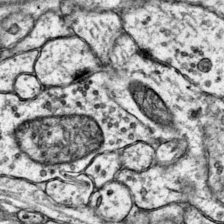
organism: Mouse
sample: Primary visual cortex